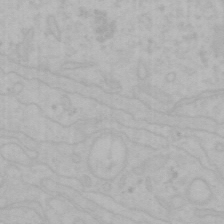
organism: Mouse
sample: Choroid plexus